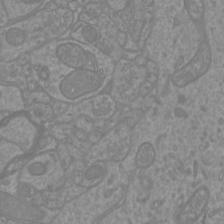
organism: Mouse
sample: Cortical neurons